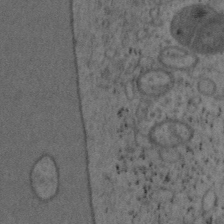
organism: Human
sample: HeLa cells